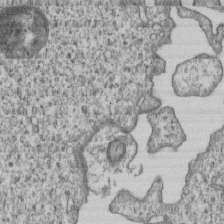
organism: Human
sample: MDA-MB-231 cells